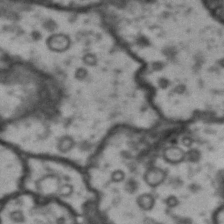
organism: Drosophila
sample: Brain